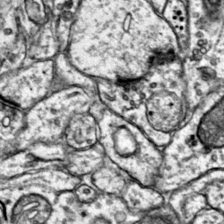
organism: Mouse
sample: Primary visual cortex